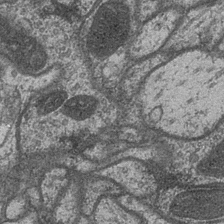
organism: Drosophila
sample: Optic medulla